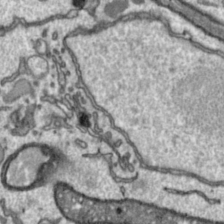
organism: Toxoplasma gondii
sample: Parasites in a vacuole inside a host cell